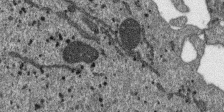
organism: Human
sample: Lung epithelial cells infected with SARS-CoV-2